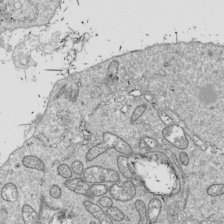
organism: Drosophila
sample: Cell division; meiosis; drosophila spermatocytes